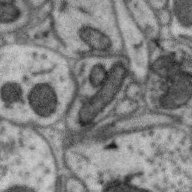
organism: Zebra finch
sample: Brain